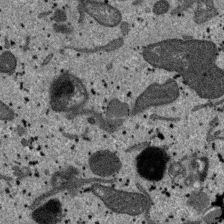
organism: Human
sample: Lung epithelial cells, uninfected (mock) control